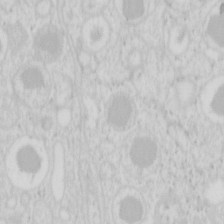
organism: Mouse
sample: Pancreas